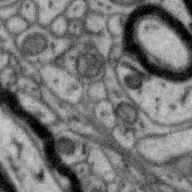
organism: Zebra finch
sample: Brain